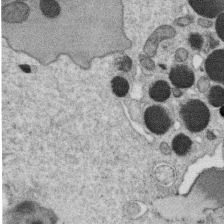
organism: C. elegans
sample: C. elegans oocyte; sperm cells